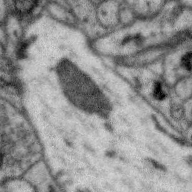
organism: Zebra finch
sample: Brain